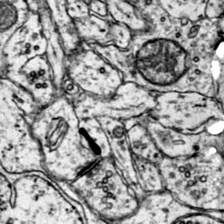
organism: Mouse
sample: Primary visual cortex